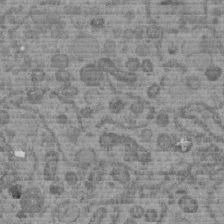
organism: C. elegans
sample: C. elegans embryo early stage